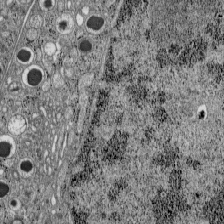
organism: C57BL Mouse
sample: Pancreatic islet